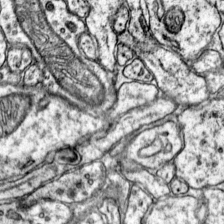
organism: Mouse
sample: Primary visual cortex